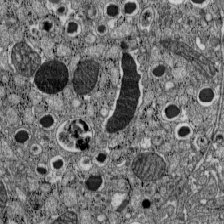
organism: C57BL Mouse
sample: Pancreatic islet